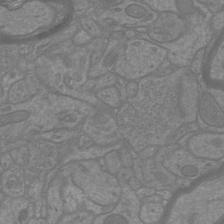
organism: Mouse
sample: Cortical neurons